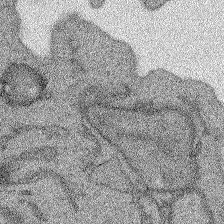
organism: Human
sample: HeLa cells